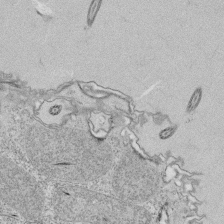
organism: Tetrahymena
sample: Cilia in tetrahymena